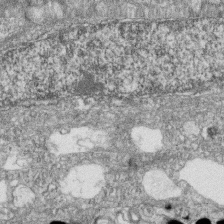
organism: Zebrafish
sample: Cilia; retinal pigment epithelium